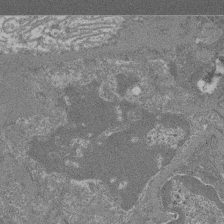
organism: Mouse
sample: Glomerulus